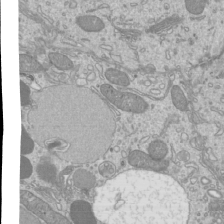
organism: Mouse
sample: Cilia; mouse epididymis